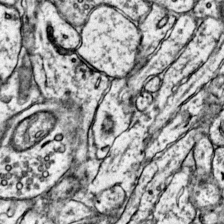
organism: Mouse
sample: Primary visual cortex